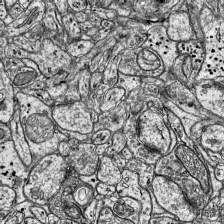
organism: Mouse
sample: Visual Cortex